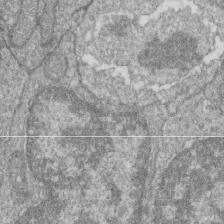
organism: Zebrafish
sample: Cilia; retinal pigment epithelium